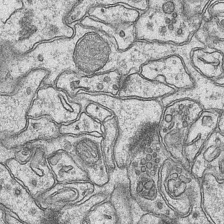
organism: Mouse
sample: CA1 Hippocampus